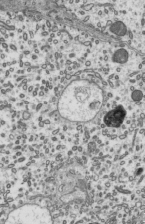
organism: Mouse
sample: Mouse epididymis efferent ductule cilia